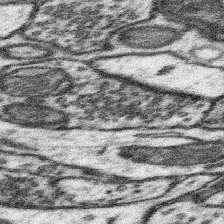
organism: Mouse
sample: Somatosensory cortex neuropil